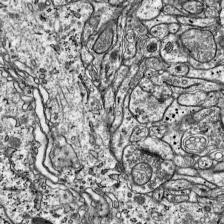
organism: Mouse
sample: Visual Cortex